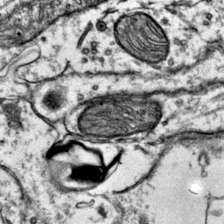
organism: Mouse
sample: Primary visual cortex